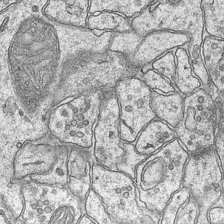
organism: Mouse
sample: CA1 Hippocampus